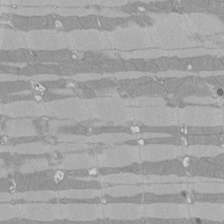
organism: Rat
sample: Left ventricle